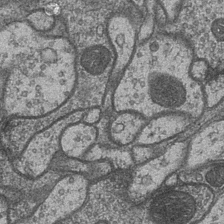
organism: Drosophila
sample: Optic medulla